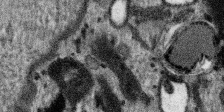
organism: Human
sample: Lung epithelial cells infected with SARS-CoV-2